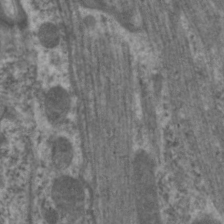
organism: C. elegans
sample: Pharynx